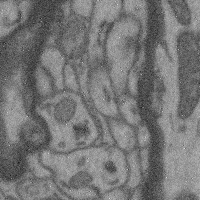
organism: Mouse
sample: Cerebral cortex